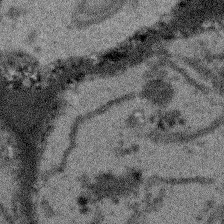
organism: Arabidopsis thaliana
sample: Root tip